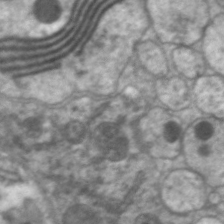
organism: C. elegans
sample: Pharynx